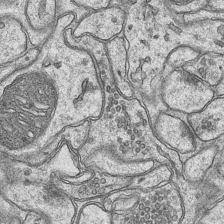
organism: Mouse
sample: CA1 Hippocampus